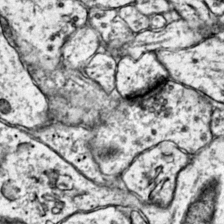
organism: Mouse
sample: Primary visual cortex